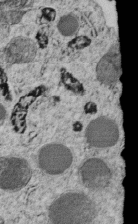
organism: C. elegans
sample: C. elegans embryo early stage